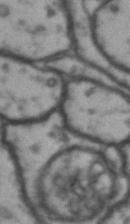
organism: Drosophila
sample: Brain